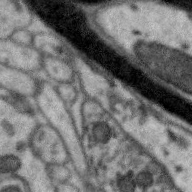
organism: Zebra finch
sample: Brain